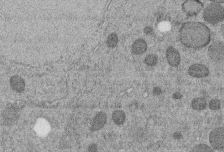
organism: C. elegans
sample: C. elegans embryo early stage